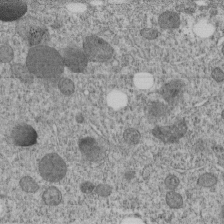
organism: C. elegans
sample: C. elegans embryo early stage